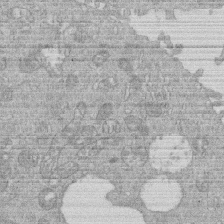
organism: Human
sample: Macrophage cells